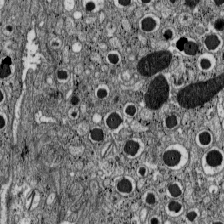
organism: C57BL Mouse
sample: Pancreatic islet